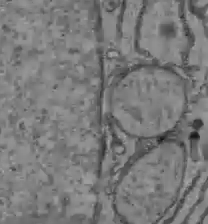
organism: C57BL Mouse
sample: Liver